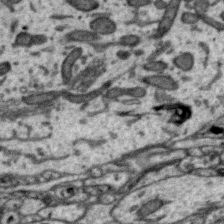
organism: Zebra finch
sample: Brain